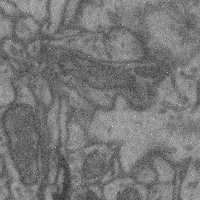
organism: Mouse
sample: Cerebral cortex